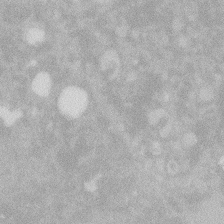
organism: Zebrafish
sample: Macrophage